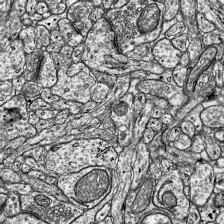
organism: Mouse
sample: Visual Cortex